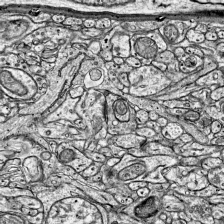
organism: Mouse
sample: Visual Cortex